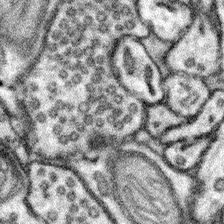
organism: Mouse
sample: Somatosensory cortex neuropil